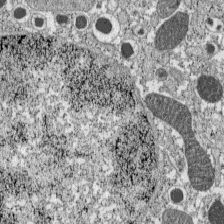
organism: C57BL Mouse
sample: Pancreatic islet